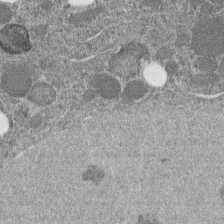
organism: C. elegans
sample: C. elegans embryo early stage